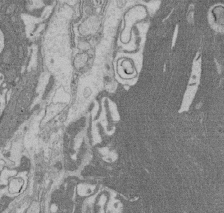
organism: Rat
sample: Salivary granule